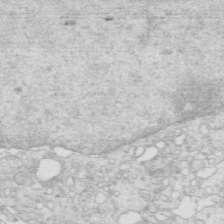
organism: Mouse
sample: Multiciliated cells